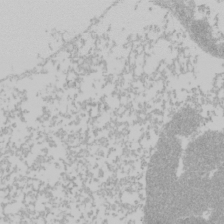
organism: Mouse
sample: Cancer cell death in ED-1 cells